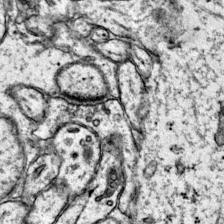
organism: Mouse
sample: Primary visual cortex